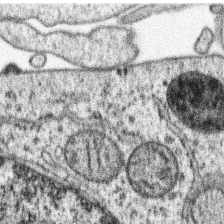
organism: Human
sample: HeLa cells